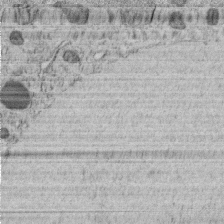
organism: C. elegans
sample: C. elegans embryo early stage